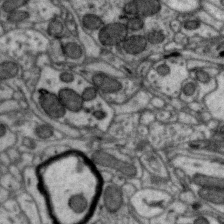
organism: Zebra finch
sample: Brain